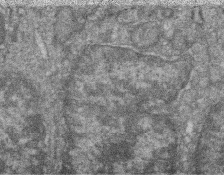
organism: Zebrafish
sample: Cilia; retinal pigment epithelium